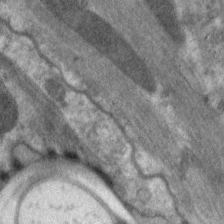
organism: C. elegans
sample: Pharynx